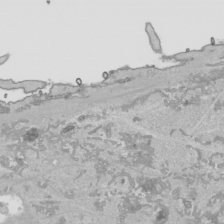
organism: Human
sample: Mitochondria in HCT116 cells